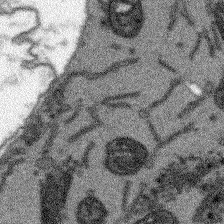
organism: Arabidopsis thaliana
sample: Root tip